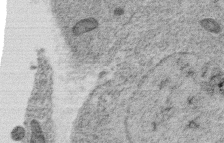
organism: C. elegans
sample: C. elegans oocyte; sperm cells